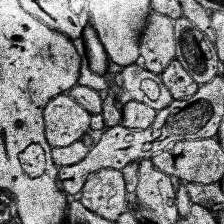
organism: Human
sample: Temporal Lobe